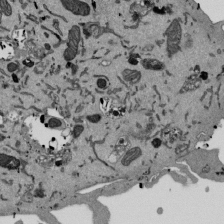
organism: Mouse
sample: ED-1 cell nuclei; centrioles